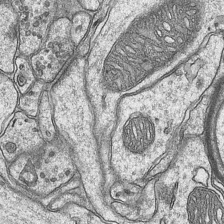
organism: Mouse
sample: CA1 Hippocampus